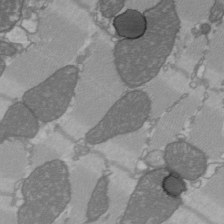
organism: C57BL Mouse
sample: Heart